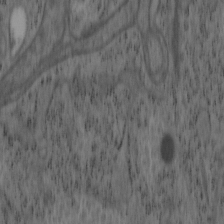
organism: Human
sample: HeLa cells